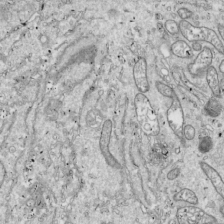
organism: Drosophila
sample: Cell division; meiosis; drosophila spermatocytes